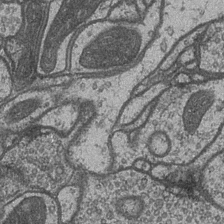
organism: Drosophila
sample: Optic medulla